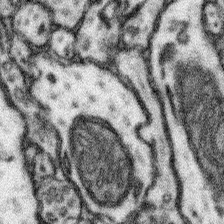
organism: Mouse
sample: Somatosensory cortex neuropil